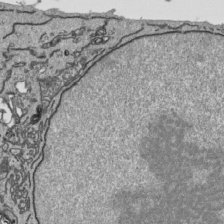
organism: Human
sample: Mitochondria in HCT116 cells